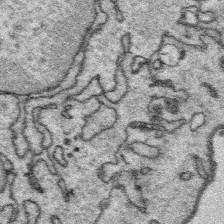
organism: Platynereis dumerilii